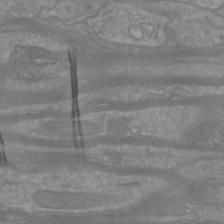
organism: Mouse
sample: Cortical neurons